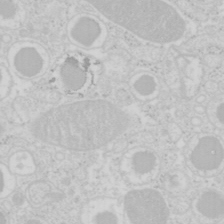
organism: Mouse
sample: Pancreas